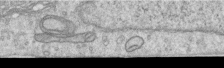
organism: Human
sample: Centriole in RPE cells